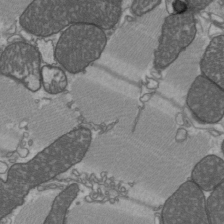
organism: C57BL Mouse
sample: Heart